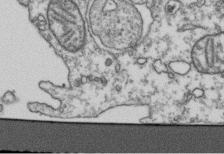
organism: Human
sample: Activated Jurkat CD4+ T cells